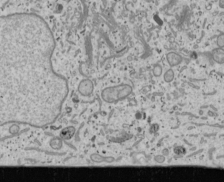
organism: Human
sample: Mitochondria in U2OS cells